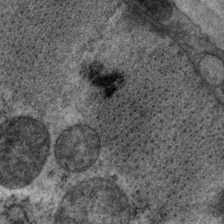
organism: P. pacificus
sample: Pharynx